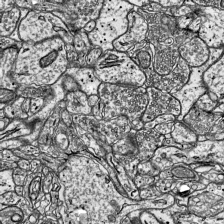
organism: Mouse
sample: Visual Cortex